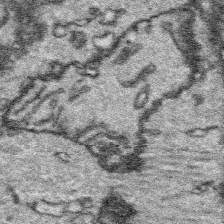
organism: Platynereis dumerilii